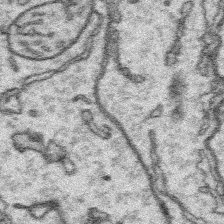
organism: Platynereis dumerilii